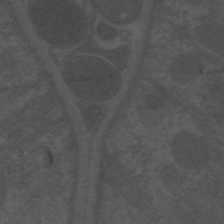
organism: C. elegans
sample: Pharynx